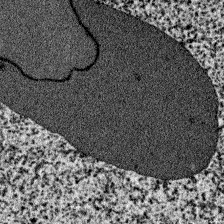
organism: Zebrafish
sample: Larval olfactory bulb